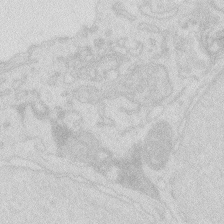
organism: Zebrafish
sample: Macrophage